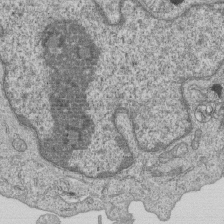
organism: Human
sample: MDA-MB-231 cells